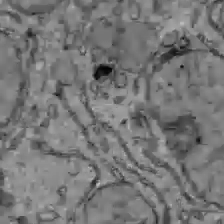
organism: C57BL Mouse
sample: Liver